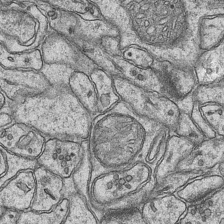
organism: Mouse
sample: CA1 Hippocampus